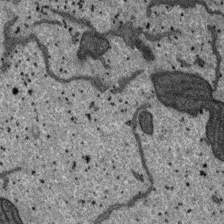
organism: Human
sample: Lung epithelial cells, uninfected (mock) control